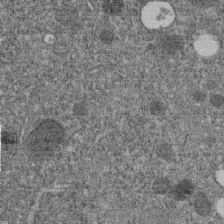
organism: C. elegans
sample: C. elegans embryo early stage